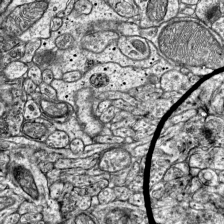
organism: Mouse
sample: Visual Cortex